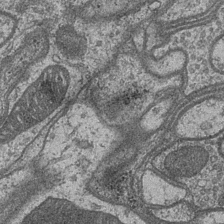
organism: Drosophila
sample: Optic medulla